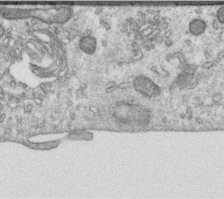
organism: Human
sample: Centriole in RPE cells